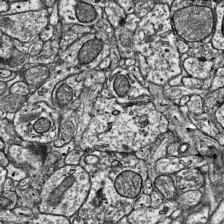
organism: Mouse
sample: Visual Cortex